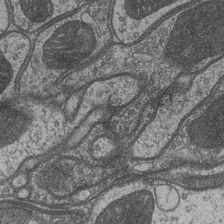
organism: Drosophila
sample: Optic medulla